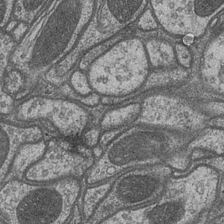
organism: Drosophila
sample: Optic medulla